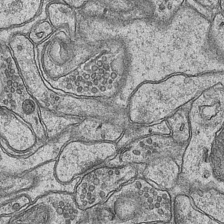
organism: Mouse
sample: CA1 Hippocampus